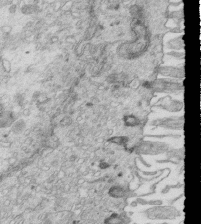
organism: Mouse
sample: Multiciliated cells